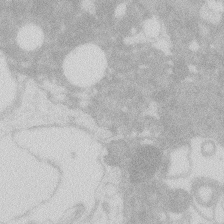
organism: Zebrafish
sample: Macrophage